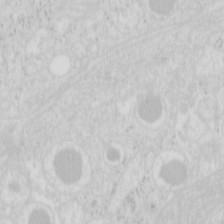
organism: Mouse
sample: Pancreas